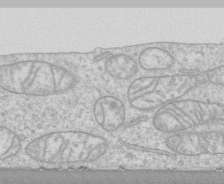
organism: Human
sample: CRL-1474